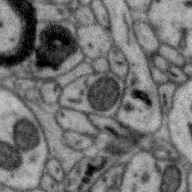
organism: Zebra finch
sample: Brain